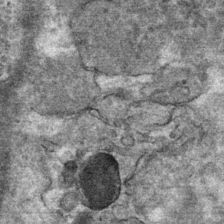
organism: Mouse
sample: Mouse Salivary gland